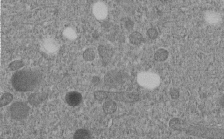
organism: C. elegans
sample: C. elegans embryo early stage